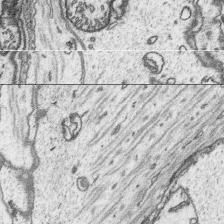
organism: Platynereis dumerilii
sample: Parapodia